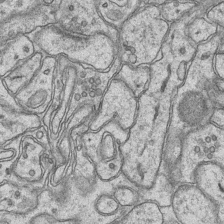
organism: Mouse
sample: CA1 Hippocampus